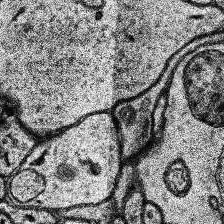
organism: Human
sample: Temporal Lobe